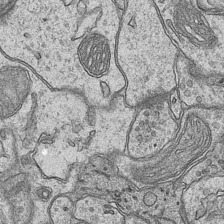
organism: Mouse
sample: CA1 Hippocampus